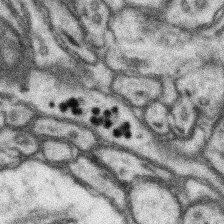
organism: Mouse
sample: Somatosensory cortex neuropil